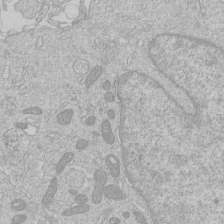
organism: Human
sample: Macrophage cells